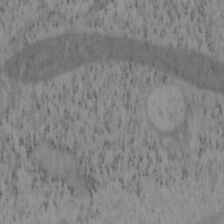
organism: Mouse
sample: OT-I killer T cells with ID8 ovarian cancer cells